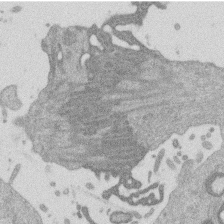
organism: Mouse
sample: Dividing mouse embryo 1 cell stage